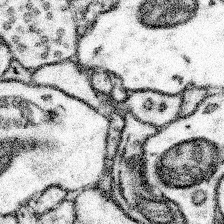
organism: Mouse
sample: Somatosensory cortex neuropil